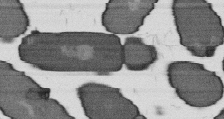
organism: B. subtilis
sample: Bacterial spore